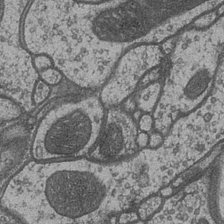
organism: Drosophila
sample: Optic medulla